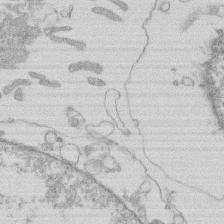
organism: Human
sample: Macrophage cells